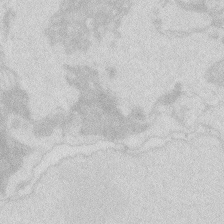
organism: Zebrafish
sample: Macrophage